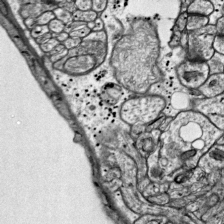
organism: Mouse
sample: Visual Cortex